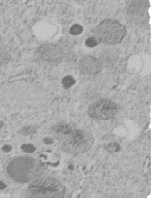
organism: C. elegans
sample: C. elegans embryo early stage